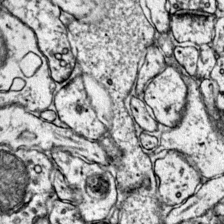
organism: Mouse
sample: Primary visual cortex